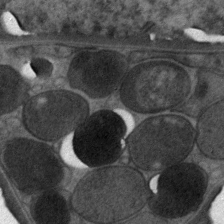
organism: C. elegans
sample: Pharynx